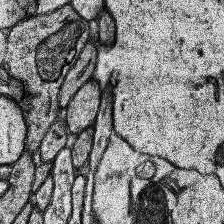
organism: Human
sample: Temporal Lobe